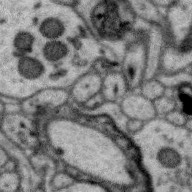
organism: Zebra finch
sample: Brain